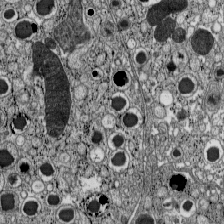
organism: C57BL Mouse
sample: Pancreatic islet